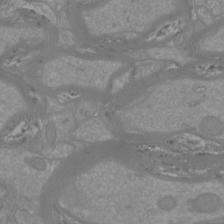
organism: Mouse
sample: Cortical neurons